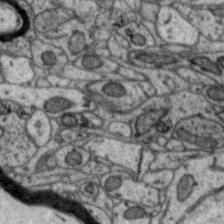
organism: Zebra finch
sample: Brain